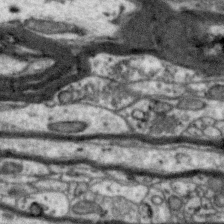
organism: Zebra finch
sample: Brain